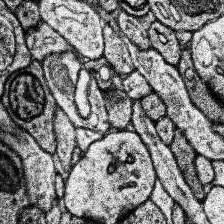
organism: Human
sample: Temporal Lobe